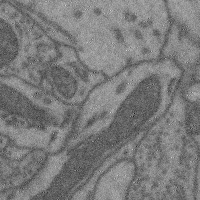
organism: Mouse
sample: Cerebral cortex